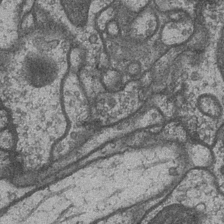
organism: Drosophila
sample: Optic medulla